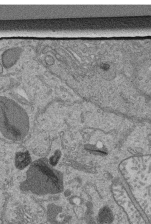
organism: Human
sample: Retinal organoid Rod and Cone cells